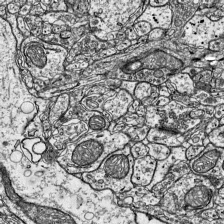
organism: Mouse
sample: Visual Cortex